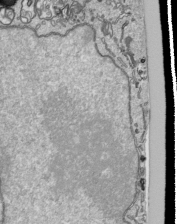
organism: Human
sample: Mitochondria in HCT116 cells